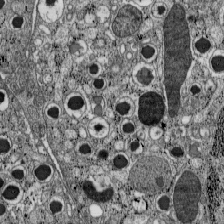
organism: C57BL Mouse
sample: Pancreatic islet